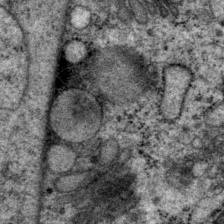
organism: P. pacificus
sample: Pharynx